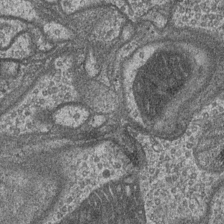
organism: Drosophila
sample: Optic medulla